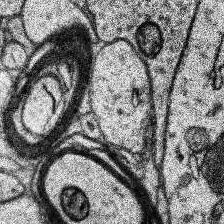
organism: Human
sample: Temporal Lobe